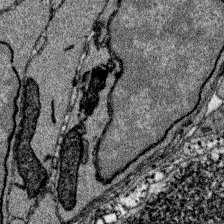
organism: Zebrafish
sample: Larval olfactory bulb